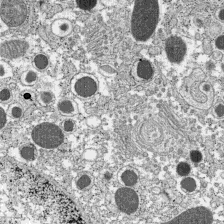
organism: C57BL Mouse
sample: Pancreatic islet